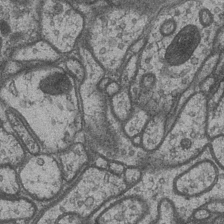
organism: Drosophila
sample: Optic medulla